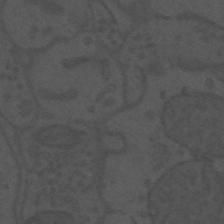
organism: Mouse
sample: Suprachiasmatic nucleus